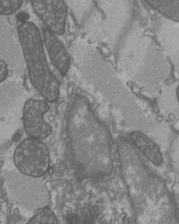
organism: C57BL Mouse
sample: Heart